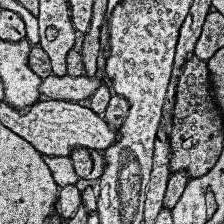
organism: Human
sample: Temporal Lobe